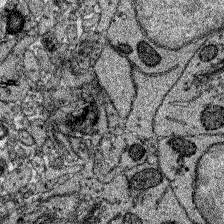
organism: Zebrafish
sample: Larval olfactory bulb